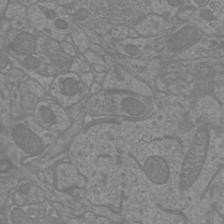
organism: Mouse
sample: Cortical neurons